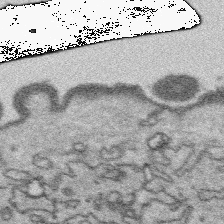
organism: Platynereis dumerilii